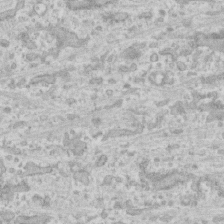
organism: Human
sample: CRL-1474